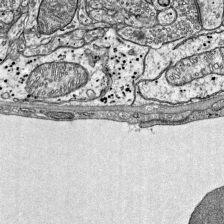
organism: Mouse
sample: Visual Cortex